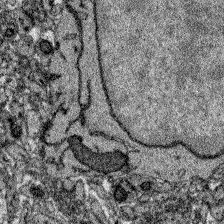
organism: Zebrafish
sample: Larval olfactory bulb